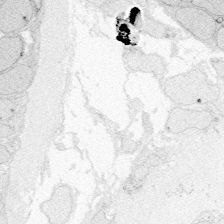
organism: Zebrafish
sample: Whole-Brain